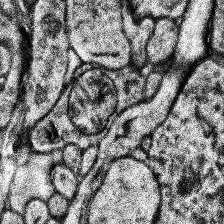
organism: Human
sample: Temporal Lobe